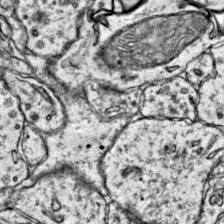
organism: Mouse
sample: Primary visual cortex